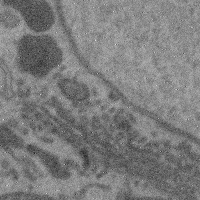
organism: Mouse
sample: Cerebral cortex